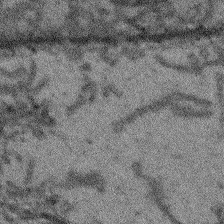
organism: Arabidopsis thaliana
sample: Root tip